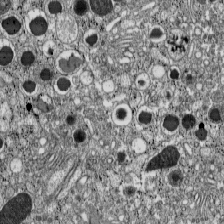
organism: C57BL Mouse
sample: Pancreatic islet